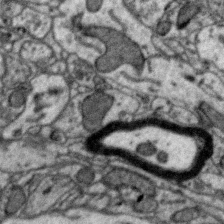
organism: Zebra finch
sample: Brain